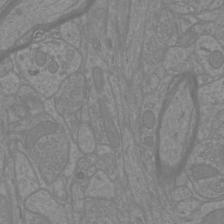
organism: Mouse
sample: Cortical neurons